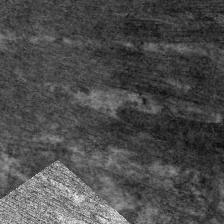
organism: C. elegans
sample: Pharynx